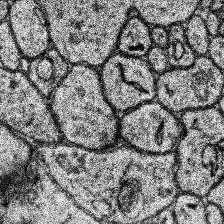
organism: Human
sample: Temporal Lobe